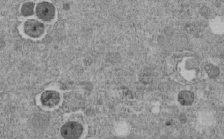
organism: C. elegans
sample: C. elegans embryo early stage